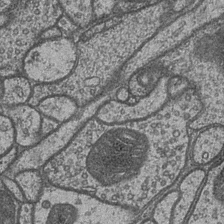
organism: Drosophila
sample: Optic medulla